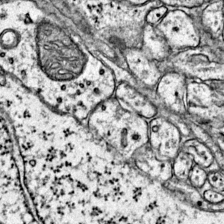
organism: Mouse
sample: Primary visual cortex